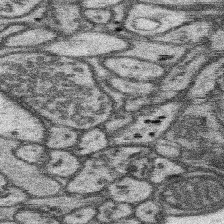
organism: Mouse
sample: Somatosensory cortex neuropil